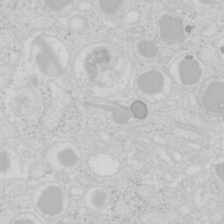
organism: Mouse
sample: Pancreas